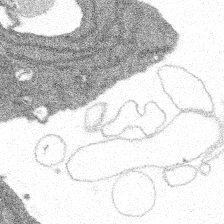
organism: Spongilla lacustris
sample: Multiple